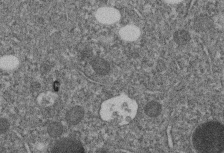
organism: C. elegans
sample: C. elegans embryo early stage